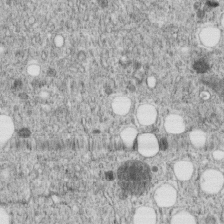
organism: C. elegans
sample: C. elegans embryo early stage